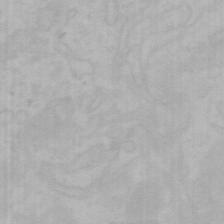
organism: Mouse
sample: Choroid plexus